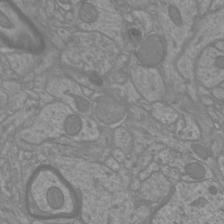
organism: Mouse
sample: Cortical neurons